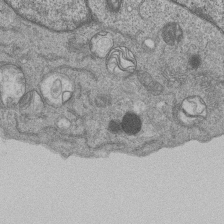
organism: Human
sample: MDA-MB-231 cells